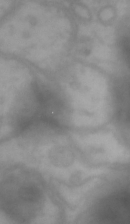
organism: Drosophila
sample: Brain